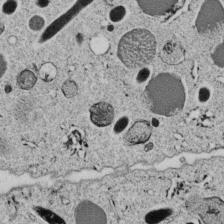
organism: C. elegans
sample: C. elegans embryo early stage